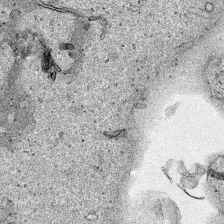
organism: Human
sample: Mitochondria in HCT116 cells